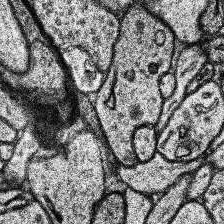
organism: Human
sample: Temporal Lobe